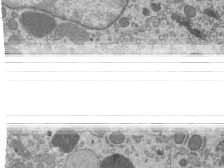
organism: Mouse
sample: Mouse epididymis efferent ductule cilia